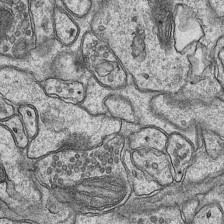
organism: Mouse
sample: CA1 Hippocampus